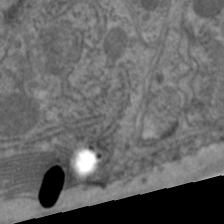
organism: C. elegans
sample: Pharynx